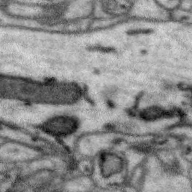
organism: Zebra finch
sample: Brain